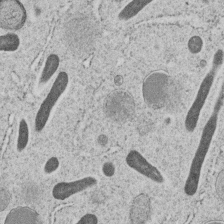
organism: C. elegans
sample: C. elegans embryo early stage